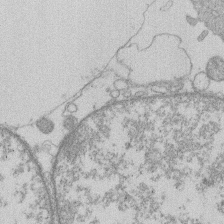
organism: Human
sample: Macrophage cells